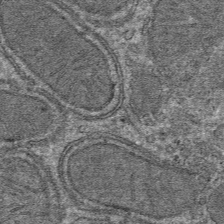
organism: Mouse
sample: Mouse hepatocytes